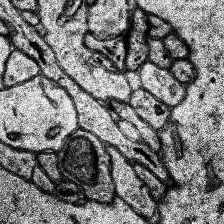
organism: Human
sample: Temporal Lobe